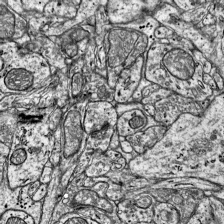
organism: Mouse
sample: Visual Cortex